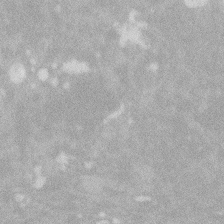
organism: Zebrafish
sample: Macrophage